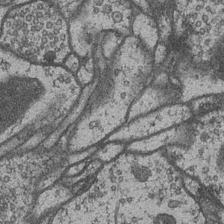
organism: Drosophila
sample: Optic medulla